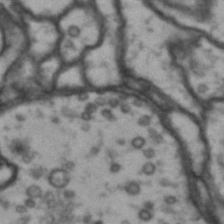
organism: Drosophila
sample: Brain